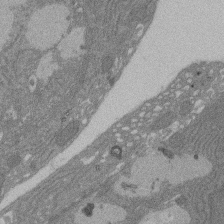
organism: Rat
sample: Salivary granule